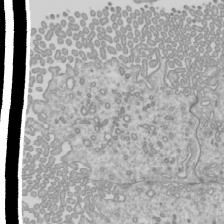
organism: Mouse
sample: Cilia; mouse epididymis